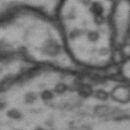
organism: Drosophila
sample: Brain